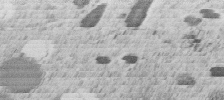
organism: C. elegans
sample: C. elegans embryo early stage